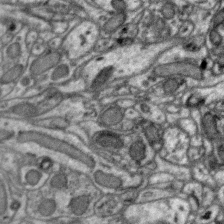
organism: Zebra finch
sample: Brain